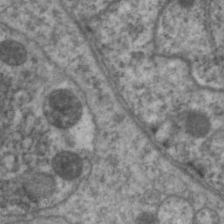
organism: C. elegans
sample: Pharynx